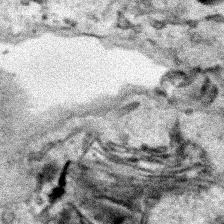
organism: Human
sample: Mitochondria in HCT116 cells